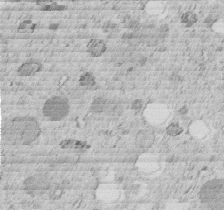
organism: C. elegans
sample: C. elegans embryo early stage